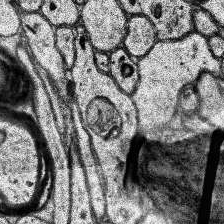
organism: Human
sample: Temporal Lobe